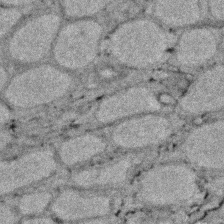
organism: Zebrafish